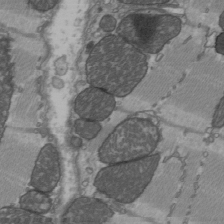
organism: C57BL Mouse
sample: Heart